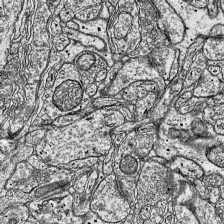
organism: Mouse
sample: Visual Cortex